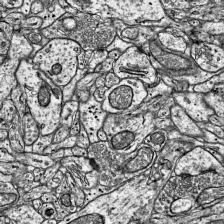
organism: Mouse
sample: Visual Cortex